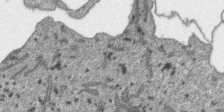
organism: Human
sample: Lung epithelial cells infected with SARS-CoV-2